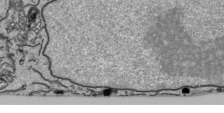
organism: Human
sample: Mitochondria in HCT116 cells